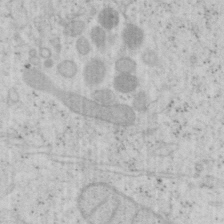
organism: Human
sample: HeLa cells